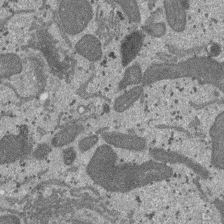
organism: Human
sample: Lung epithelial cells infected with SARS-CoV-2